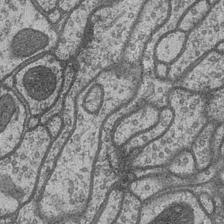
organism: Drosophila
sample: Optic medulla